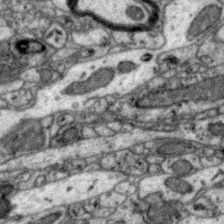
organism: Zebra finch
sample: Brain